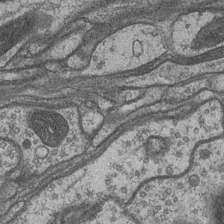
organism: Drosophila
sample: Optic medulla